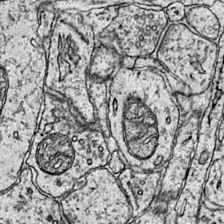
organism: Mouse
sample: Primary visual cortex